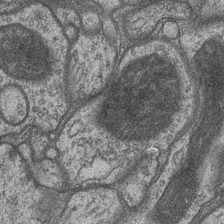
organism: Drosophila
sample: Optic medulla